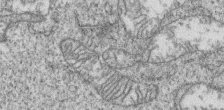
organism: Human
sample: HeLa cell HIV synapse